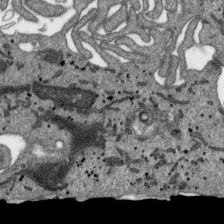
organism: Human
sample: Lung epithelial cells, uninfected (mock) control